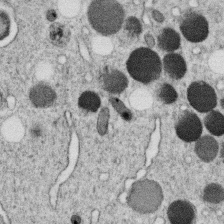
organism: C. elegans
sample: C. elegans oocyte; sperm cells